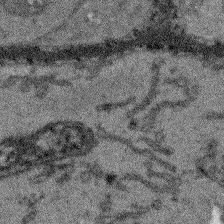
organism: Arabidopsis thaliana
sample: Root tip